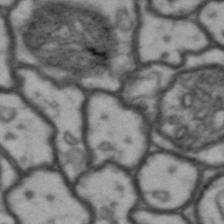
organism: Drosophila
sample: Brain